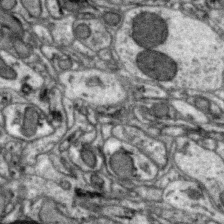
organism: Zebra finch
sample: Brain